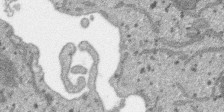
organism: Human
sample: Lung epithelial cells infected with SARS-CoV-2